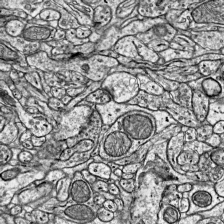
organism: Mouse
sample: Visual Cortex